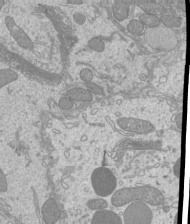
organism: Mouse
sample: Cilia; mouse epididymis